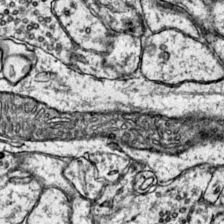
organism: Mouse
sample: Primary visual cortex